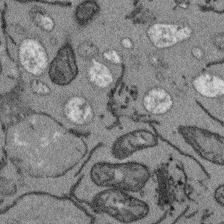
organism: Arabidopsis thaliana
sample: Root tip